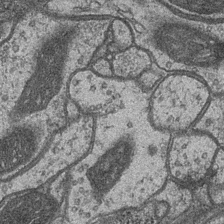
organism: Drosophila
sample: Optic medulla